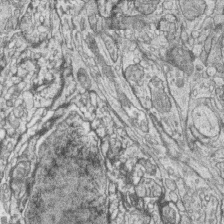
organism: Zebrafish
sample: synaptic ribbons in rod cells and cone cells